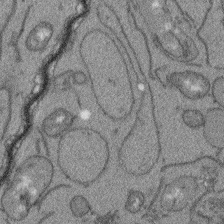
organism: Arabidopsis thaliana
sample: Root tip